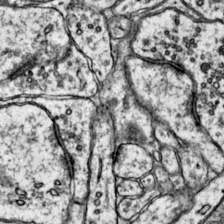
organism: Mouse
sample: Primary visual cortex